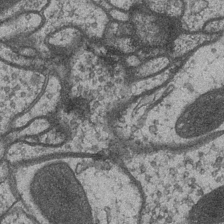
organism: Drosophila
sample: Optic medulla